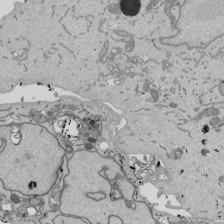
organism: Mouse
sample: ED-1 cell nuclei; centrioles